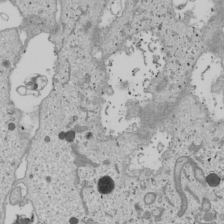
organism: Human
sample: Mitochondria in U2OS cells